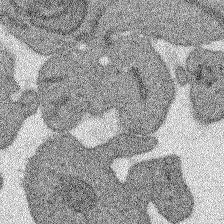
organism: Human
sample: HeLa cells